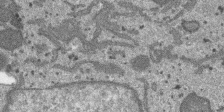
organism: Human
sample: Lung epithelial cells infected with SARS-CoV-2